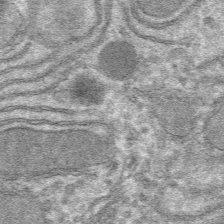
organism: Mouse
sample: Mouse hepatocytes